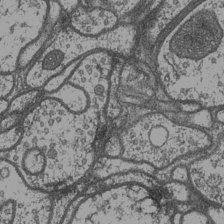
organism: Drosophila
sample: Optic medulla